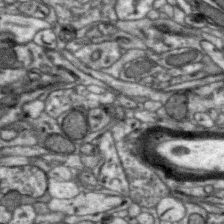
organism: Zebra finch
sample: Brain